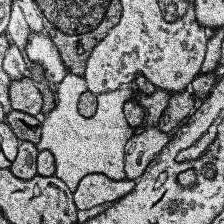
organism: Human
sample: Temporal Lobe